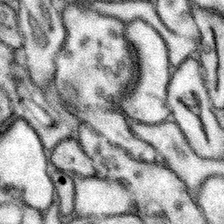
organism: Mouse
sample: Somatosensory cortex neuropil